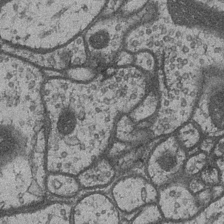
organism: Drosophila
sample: Optic medulla